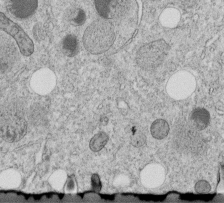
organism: C. elegans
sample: C. elegans embryo early stage